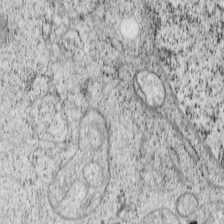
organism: African green monkey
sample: COS-7 cells